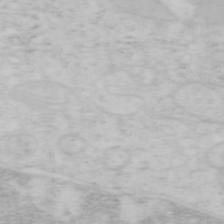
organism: Mouse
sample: OT-I killer T cells with ID8 ovarian cancer cells